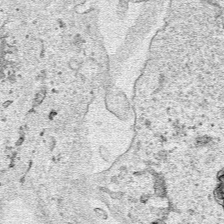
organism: Human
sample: Mitochondria in HCT116 cells